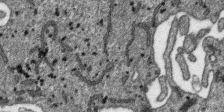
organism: Human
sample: Lung epithelial cells infected with SARS-CoV-2